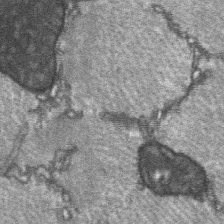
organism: C57BL Mouse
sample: Soleus